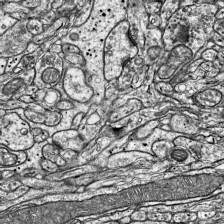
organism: Mouse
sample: Visual Cortex